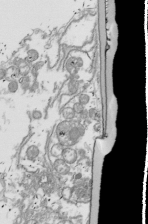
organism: Drosophila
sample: Cell division; meiosis; drosophila spermatocytes